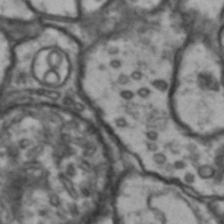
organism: Drosophila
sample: Brain